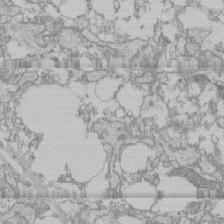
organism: Human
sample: CRL-1474